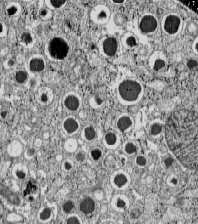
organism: C57BL Mouse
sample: Pancreatic islet